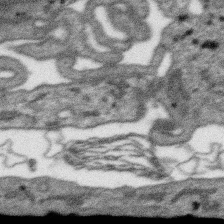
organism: Human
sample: Lung epithelial cells infected with SARS-CoV-2